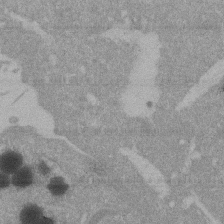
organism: Mouse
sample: ED-1 cell nuclei; centrioles